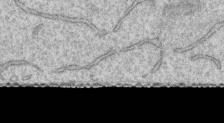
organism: Human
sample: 1205lu cells